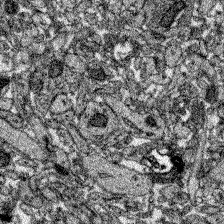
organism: Zebrafish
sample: Larval olfactory bulb